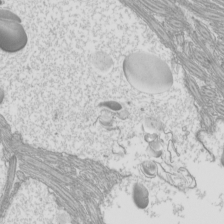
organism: Mouse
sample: Cilia; mouse epididymis